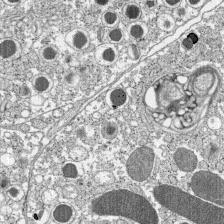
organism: C57BL Mouse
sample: Pancreatic islet